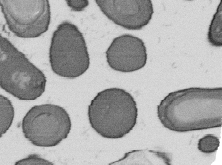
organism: B. subtilis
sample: Bacterial spore